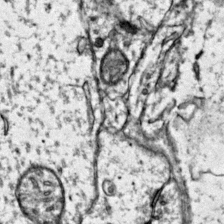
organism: Mouse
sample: Primary visual cortex